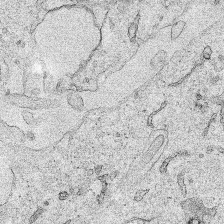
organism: Human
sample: Mitochondria in HCT116 cells